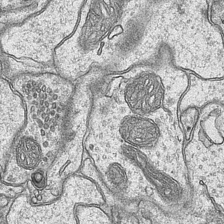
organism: Mouse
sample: CA1 Hippocampus